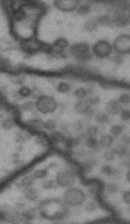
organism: Drosophila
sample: Brain